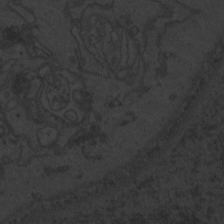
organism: Zebrafish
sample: Macrophage infected with Toxoplasma gondii